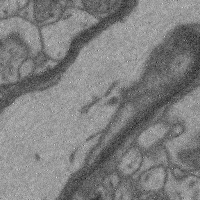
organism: Mouse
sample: Cerebral cortex